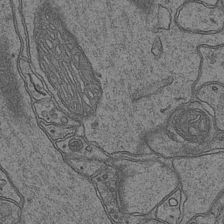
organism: Mouse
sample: CA1 Hippocampus